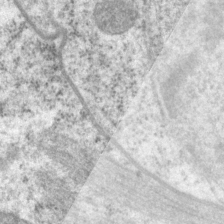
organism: P. pacificus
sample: Pharynx